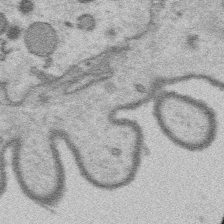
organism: Platynereis dumerilii